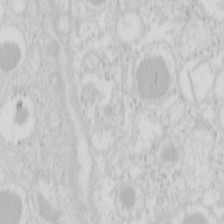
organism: Mouse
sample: Pancreas